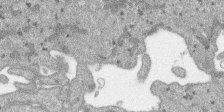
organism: Human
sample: Lung epithelial cells infected with SARS-CoV-2